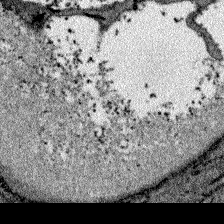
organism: Zebrafish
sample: Larval olfactory bulb